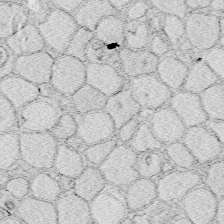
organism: Zebrafish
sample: Whole-Brain